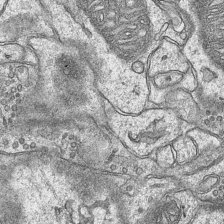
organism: Mouse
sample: CA1 Hippocampus